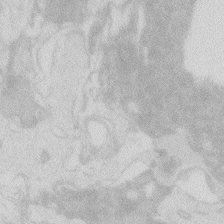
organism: Zebrafish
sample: Macrophage